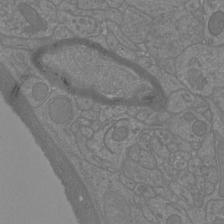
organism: Mouse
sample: Cortical neurons